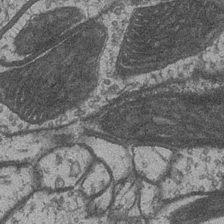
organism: Drosophila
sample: Optic medulla